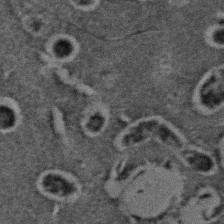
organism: C. elegans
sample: C. elegans embryo